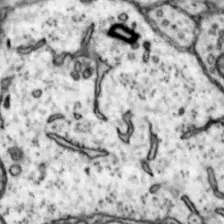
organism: Mouse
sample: Nucleus accumbens